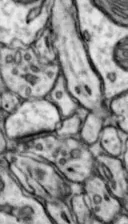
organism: Mouse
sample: Nucleus accumbens